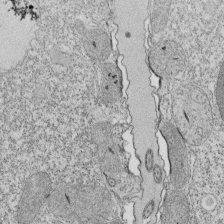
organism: Tetrahymena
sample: Cilia in tetrahymena